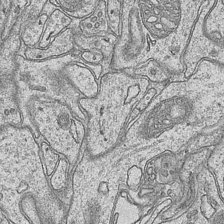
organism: Mouse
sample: CA1 Hippocampus